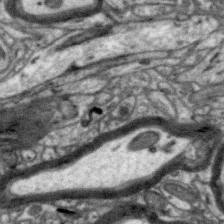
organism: Zebra finch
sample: Brain